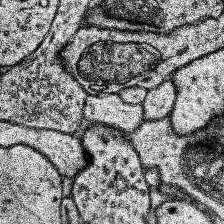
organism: Human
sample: Temporal Lobe